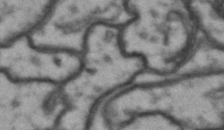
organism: Drosophila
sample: Brain